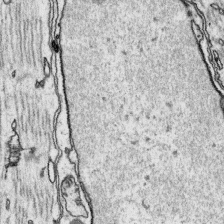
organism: Platynereis dumerilii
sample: Parapodia